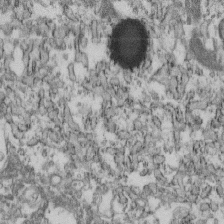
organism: Mouse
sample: Cilia; retinal pigment epithelium